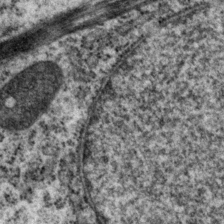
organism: P. pacificus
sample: Pharynx